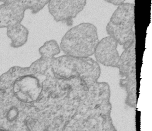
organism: Human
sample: MDA-MB-231 cells